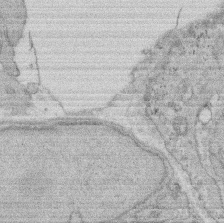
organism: Rat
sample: Salivary granule